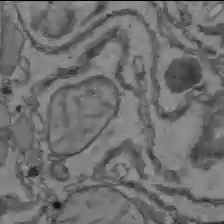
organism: C57BL Mouse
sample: Liver